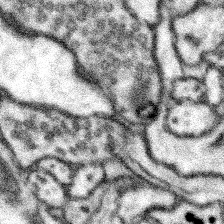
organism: Mouse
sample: Somatosensory cortex neuropil